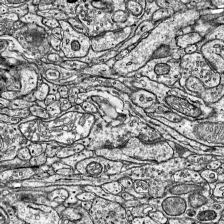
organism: Mouse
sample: Visual Cortex